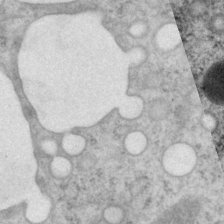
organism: P. pacificus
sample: Pharynx